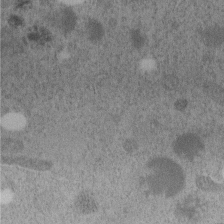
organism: C. elegans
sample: C. elegans embryo early stage